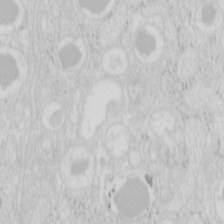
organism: Mouse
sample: Pancreas